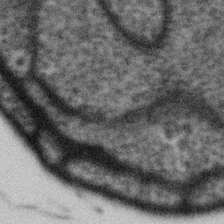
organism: Gemmata obscuriglobus